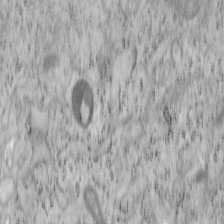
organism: Human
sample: HeLa cells